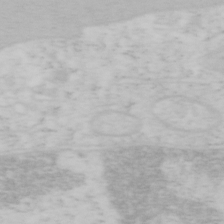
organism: Mouse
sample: OT-I killer T cells with ID8 ovarian cancer cells